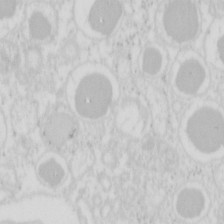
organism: Mouse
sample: Pancreas